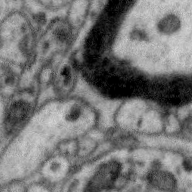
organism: Zebra finch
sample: Brain